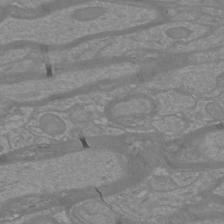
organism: Mouse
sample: Cortical neurons